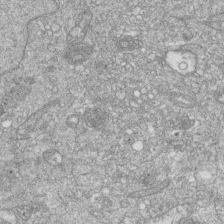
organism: Human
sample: HeLa cell HIV synapse